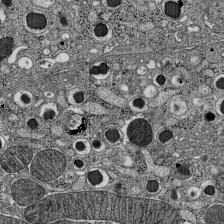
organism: C57BL Mouse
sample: Pancreatic islet